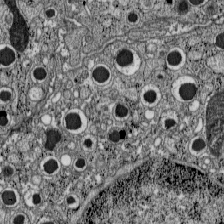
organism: C57BL Mouse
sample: Pancreatic islet